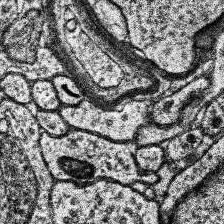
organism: Human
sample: Temporal Lobe